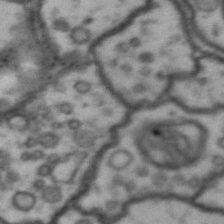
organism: Drosophila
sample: Brain